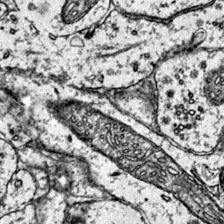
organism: Mouse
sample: Primary visual cortex